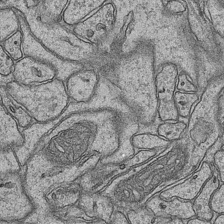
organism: Mouse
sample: CA1 Hippocampus